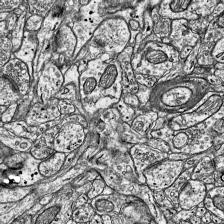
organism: Mouse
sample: Visual Cortex